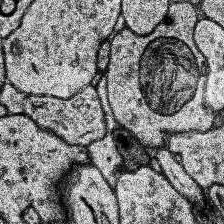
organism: Human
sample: Temporal Lobe